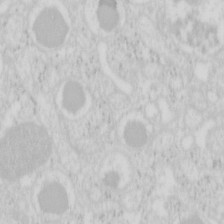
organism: Mouse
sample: Pancreas